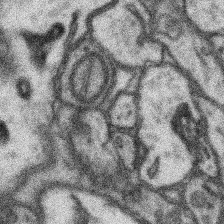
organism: Mouse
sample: Somatosensory cortex neuropil